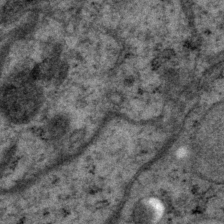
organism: P. pacificus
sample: Pharynx